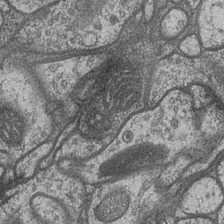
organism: Drosophila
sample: Optic medulla